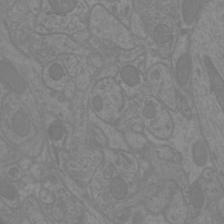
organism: Mouse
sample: Cortical neurons